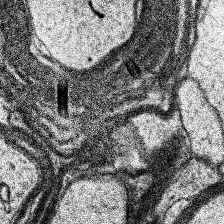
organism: Human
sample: Temporal Lobe